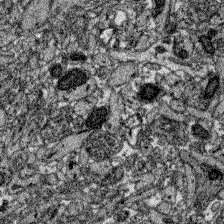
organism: Zebrafish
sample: Larval olfactory bulb